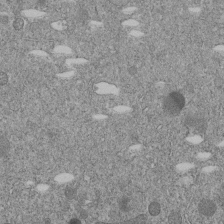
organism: C. elegans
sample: C. elegans embryo early stage